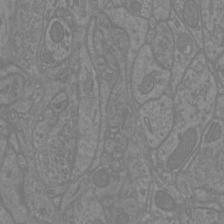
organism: Mouse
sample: Cortical neurons